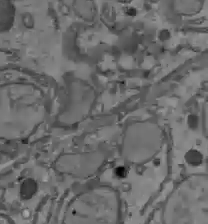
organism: C57BL Mouse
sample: Liver